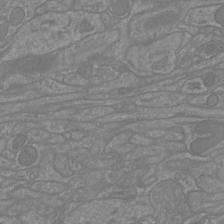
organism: Mouse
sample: Cortical neurons